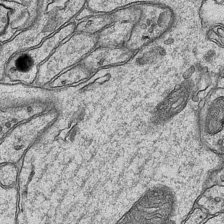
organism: Mouse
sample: CA1 Hippocampus